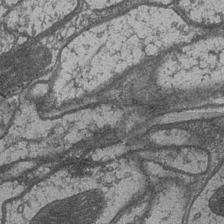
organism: Drosophila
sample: Optic medulla